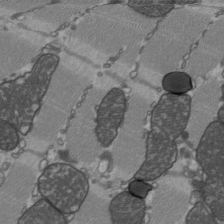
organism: C57BL Mouse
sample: Heart